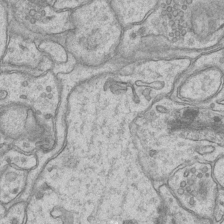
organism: Mouse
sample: CA1 Hippocampus